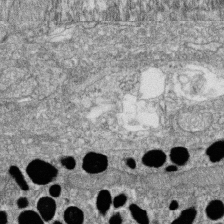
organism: Zebrafish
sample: Cilia; retinal pigment epithelium